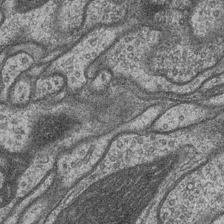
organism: Drosophila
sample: Optic medulla